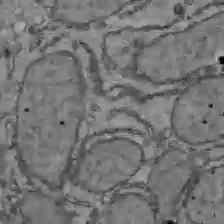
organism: C57BL Mouse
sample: Liver